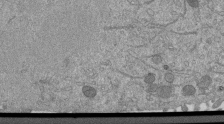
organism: Mouse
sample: ED-1 cell nuclei; centrioles